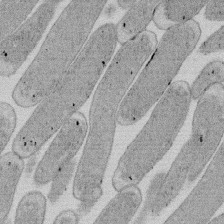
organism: E. coli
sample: Bacterial nucleoid